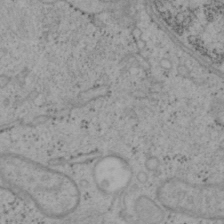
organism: Human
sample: HeLa cells